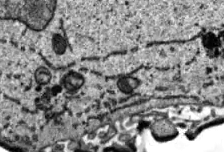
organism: Human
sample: HeLa cells